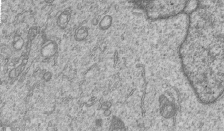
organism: Human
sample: MDA-MB-231 cells